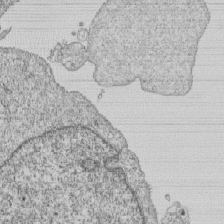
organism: Human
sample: MDA-MB-231 cells